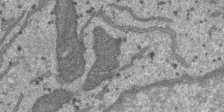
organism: Human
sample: Lung epithelial cells infected with SARS-CoV-2